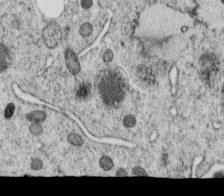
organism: C. elegans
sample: C. elegans oocyte; sperm cells